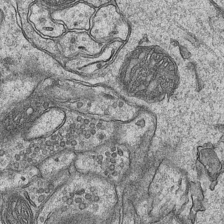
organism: Mouse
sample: CA1 Hippocampus